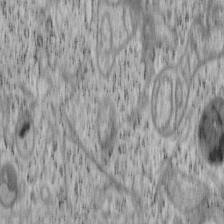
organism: Human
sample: HeLa cells